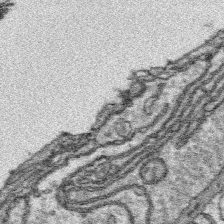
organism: Platynereis dumerilii